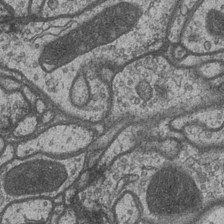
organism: Drosophila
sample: Optic medulla